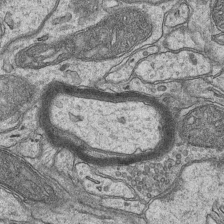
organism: Mouse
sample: CA1 Hippocampus